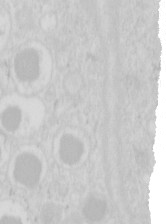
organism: Mouse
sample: Pancreas